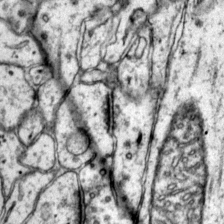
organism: Mouse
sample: Primary visual cortex